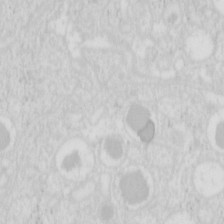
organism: Mouse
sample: Pancreas